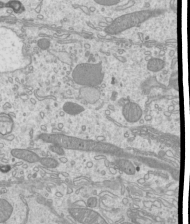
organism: Mouse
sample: Cilia; mouse epididymis